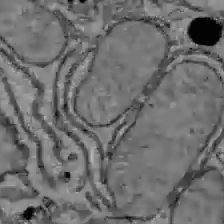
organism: C57BL Mouse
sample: Liver